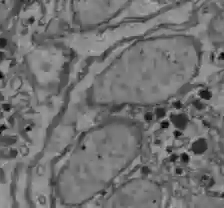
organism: C57BL Mouse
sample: Liver